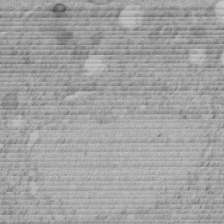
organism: C. elegans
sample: C. elegans embryo early stage